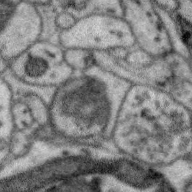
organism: Zebra finch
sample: Brain